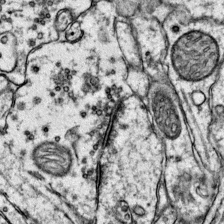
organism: Mouse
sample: Primary visual cortex